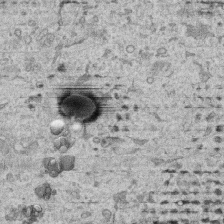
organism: Human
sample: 1205lu cells